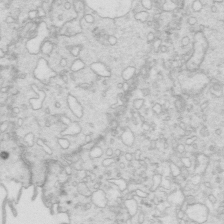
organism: Mouse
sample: Multiciliated cells